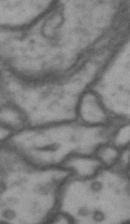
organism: Drosophila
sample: Brain